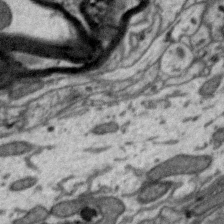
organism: Zebra finch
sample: Brain